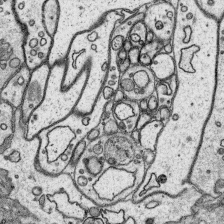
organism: Platynereis dumerilii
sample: Parapodia